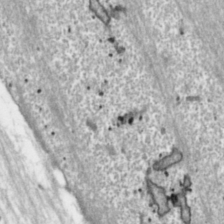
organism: Toxoplasma gondii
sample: Parasites in a vacuole inside a host cell